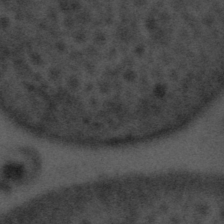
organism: Tuwongella immobilis